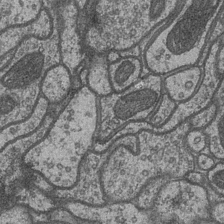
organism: Drosophila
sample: Optic medulla